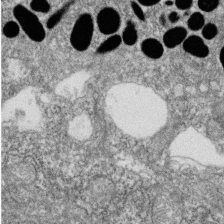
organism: Zebrafish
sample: Cilia; retinal pigment epithelium